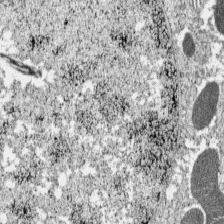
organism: C57BL Mouse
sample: Pancreatic islet